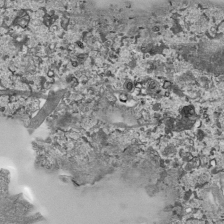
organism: Human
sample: Mitochondria in HCT116 cells